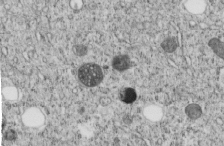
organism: C. elegans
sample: C. elegans embryo early stage